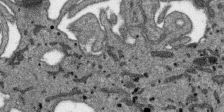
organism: Human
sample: Lung epithelial cells, uninfected (mock) control